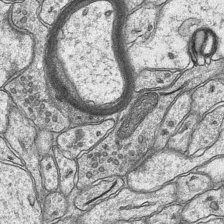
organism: Mouse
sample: CA1 Hippocampus